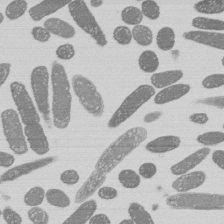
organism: E. coli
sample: Bacterial nucleoid